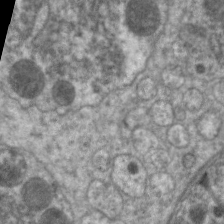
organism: C. elegans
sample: Pharynx